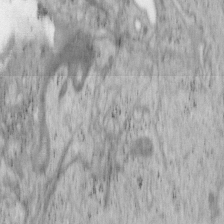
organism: Human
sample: HeLa cells